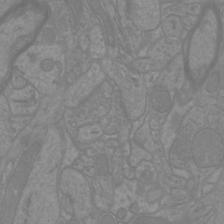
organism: Mouse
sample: Cortical neurons